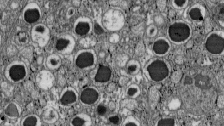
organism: C57BL Mouse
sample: Pancreatic islet